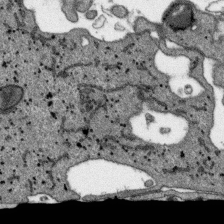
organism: Human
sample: Lung epithelial cells, uninfected (mock) control